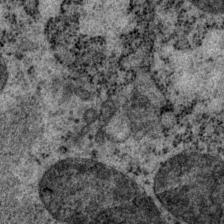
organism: P. pacificus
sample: Pharynx